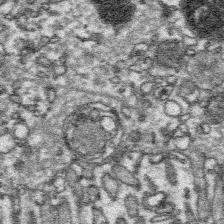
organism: Platynereis dumerilii